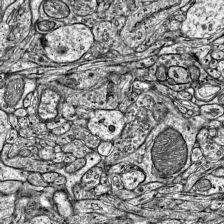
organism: Mouse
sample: Visual Cortex